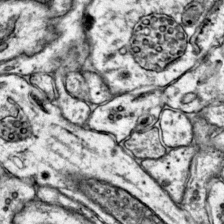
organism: Mouse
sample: Primary visual cortex